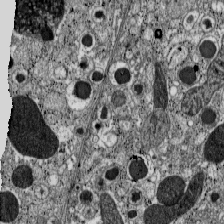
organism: C57BL Mouse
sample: Pancreatic islet